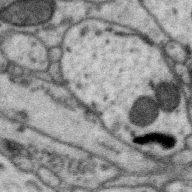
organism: Zebra finch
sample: Brain